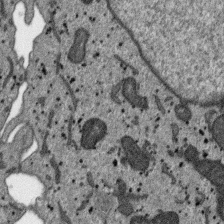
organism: Human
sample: Lung epithelial cells, uninfected (mock) control